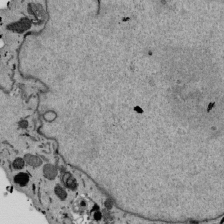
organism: Mouse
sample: ED-1 cell nuclei; centrioles